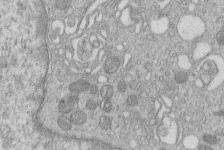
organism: Human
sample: Macrophage cells